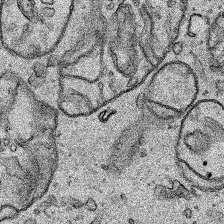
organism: Human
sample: Mitochondria in HCT116 cells